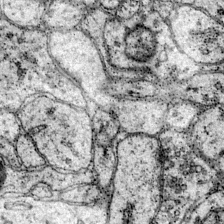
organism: Mouse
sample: Primary visual cortex